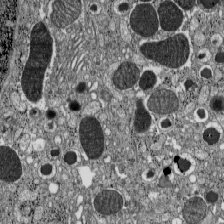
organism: C57BL Mouse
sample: Pancreatic islet